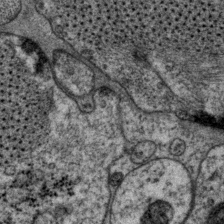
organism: P. pacificus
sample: Pharynx